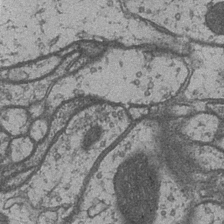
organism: Drosophila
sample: Optic medulla